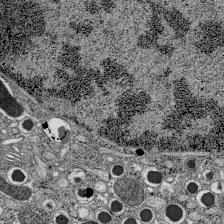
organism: C57BL Mouse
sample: Pancreatic islet